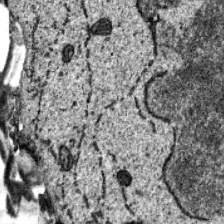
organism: Human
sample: HeLa cells